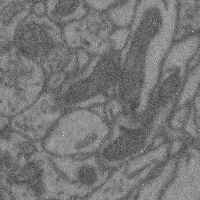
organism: Mouse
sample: Cerebral cortex